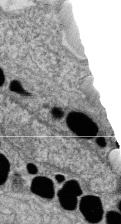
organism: Zebrafish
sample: Cilia; retinal pigment epithelium